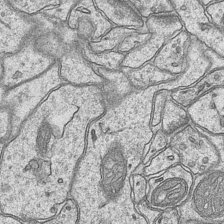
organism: Mouse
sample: CA1 Hippocampus